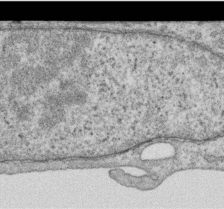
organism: Human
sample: Centriole in RPE cells